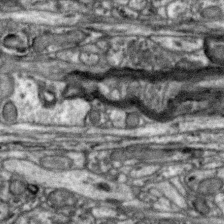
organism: Zebra finch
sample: Brain